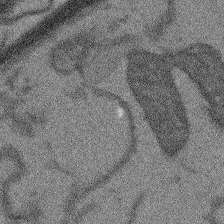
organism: Arabidopsis thaliana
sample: Root tip